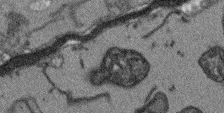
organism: Arabidopsis thaliana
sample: Root tip